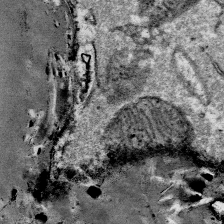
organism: Mouse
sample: Mouse Salivary gland